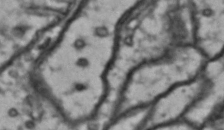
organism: Drosophila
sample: Brain